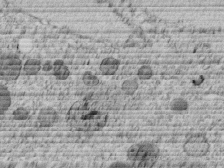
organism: C. elegans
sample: C. elegans embryo early stage